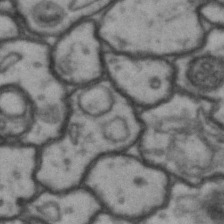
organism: Drosophila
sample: Brain